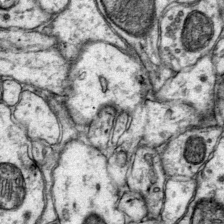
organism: Mouse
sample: Primary visual cortex